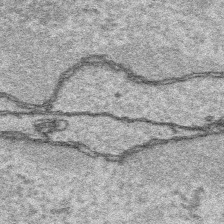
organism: Platynereis dumerilii